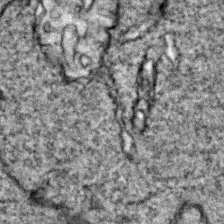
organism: Zebrafish